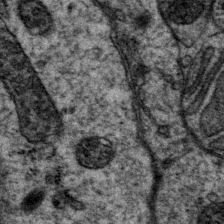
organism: P. pacificus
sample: Pharynx